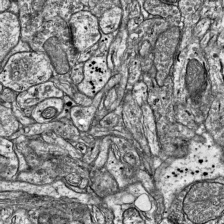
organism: Mouse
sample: Visual Cortex